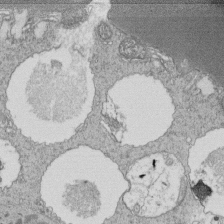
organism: Tetrahymena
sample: Cilia in tetrahymena